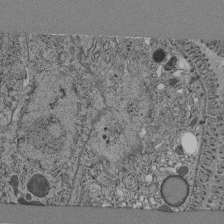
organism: C. elegans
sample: C. elegans pharynx